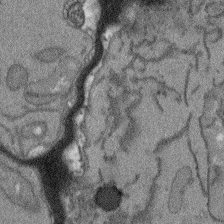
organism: Arabidopsis thaliana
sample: Root tip